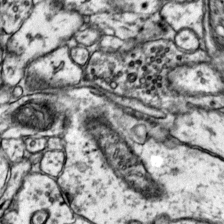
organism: Mouse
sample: Primary visual cortex